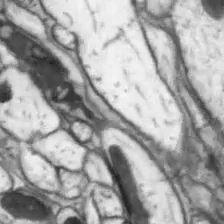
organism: Drosophila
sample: Optic lobe